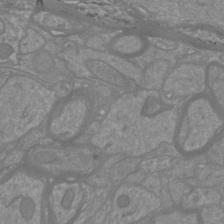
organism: Mouse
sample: Cortical neurons